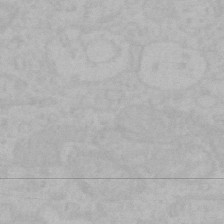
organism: Mouse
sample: Choroid plexus